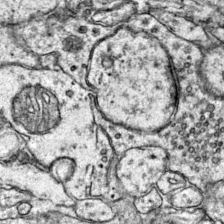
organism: Mouse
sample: Primary visual cortex